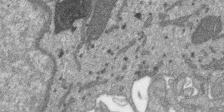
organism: Human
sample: Lung epithelial cells infected with SARS-CoV-2